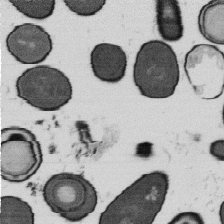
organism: B. subtilis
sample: Bacterial spore